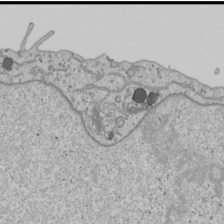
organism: Human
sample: Mitochondria in U2OS cells